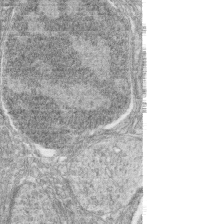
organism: Zebrafish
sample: synaptic ribbons in rod cells and cone cells